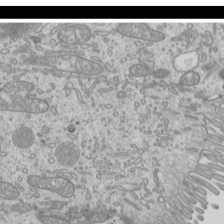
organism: Mouse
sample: Cilia; mouse epididymis